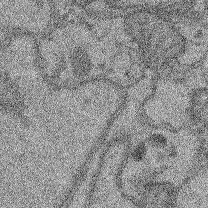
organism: Human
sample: HeLa cells